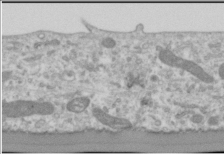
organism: Human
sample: Cilia; basal body in RPE cells